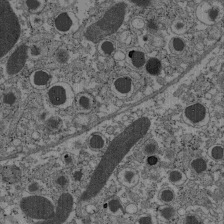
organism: C57BL Mouse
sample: Pancreatic islet